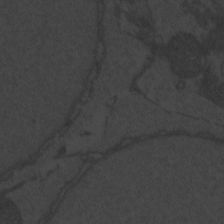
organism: Zebrafish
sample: Macrophage infected with Toxoplasma gondii